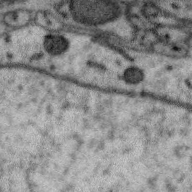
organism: Zebra finch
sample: Brain